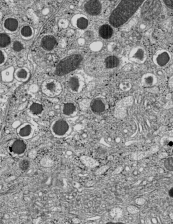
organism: C57BL Mouse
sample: Pancreatic islet